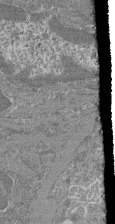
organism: Mouse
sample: Glomerulus